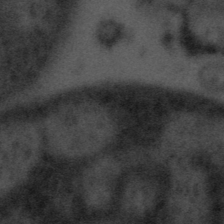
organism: Tuwongella immobilis